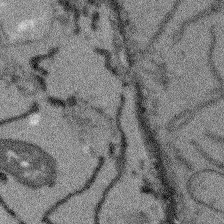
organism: Arabidopsis thaliana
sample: Root tip